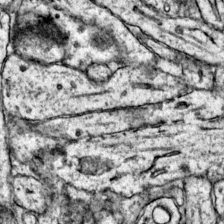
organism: Mouse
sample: Primary visual cortex